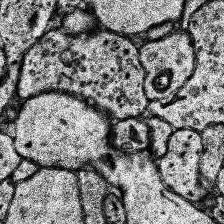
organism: Human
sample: Temporal Lobe